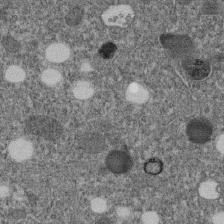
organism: C. elegans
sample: C. elegans embryo early stage